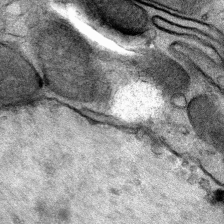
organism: Mouse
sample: Mouse Salivary gland